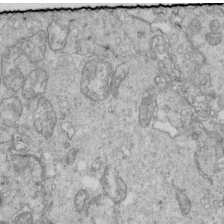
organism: Mouse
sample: Multiciliated cells